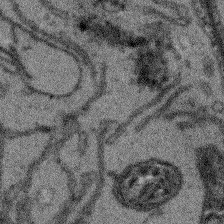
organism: Arabidopsis thaliana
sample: Root tip